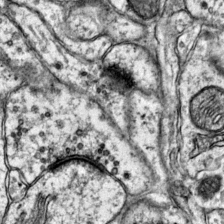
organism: Mouse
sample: Primary visual cortex